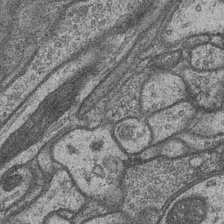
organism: Drosophila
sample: Optic medulla